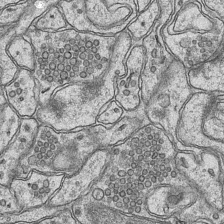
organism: Mouse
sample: CA1 Hippocampus